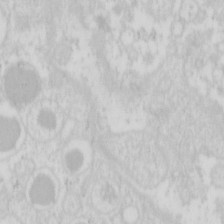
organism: Mouse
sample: Pancreas